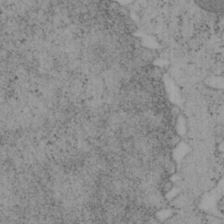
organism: Mouse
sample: OT-I killer T cells with ID8 ovarian cancer cells